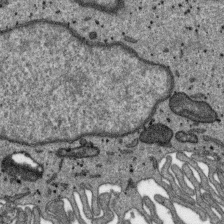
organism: Human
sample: Lung epithelial cells, uninfected (mock) control